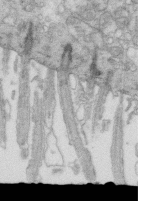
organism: Mouse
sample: Multiciliated cells